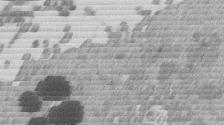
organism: Mouse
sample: Dividing mouse embryo 1 cell stage